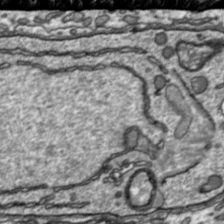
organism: Toxoplasma gondii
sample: Parasites in a vacuole inside a host cell